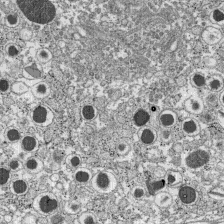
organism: C57BL Mouse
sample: Pancreatic islet